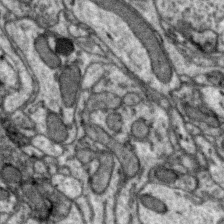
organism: Zebra finch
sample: Brain